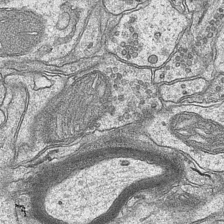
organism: Mouse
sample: CA1 Hippocampus